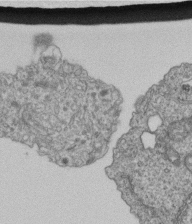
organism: Human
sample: Retinal organoid Rod and Cone cells